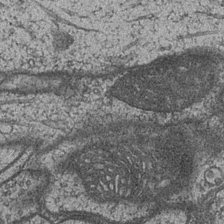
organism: Drosophila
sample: Optic medulla